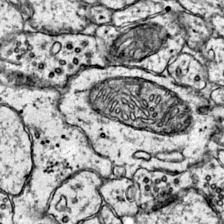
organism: Mouse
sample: Primary visual cortex